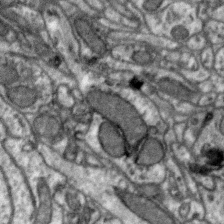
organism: Zebra finch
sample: Brain